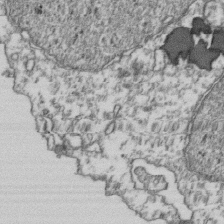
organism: Human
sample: Activated Jurkat CD4+ T cells